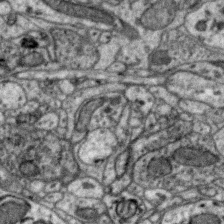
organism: Zebra finch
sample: Brain